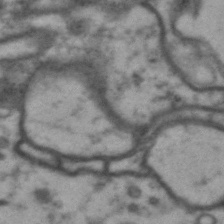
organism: Drosophila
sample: Brain